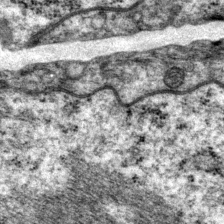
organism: P. pacificus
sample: Pharynx